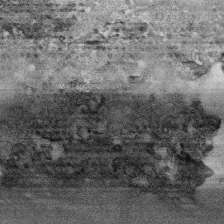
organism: Human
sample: CRL-1474